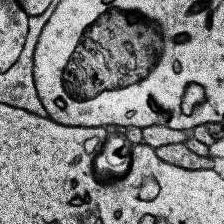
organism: Human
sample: Temporal Lobe